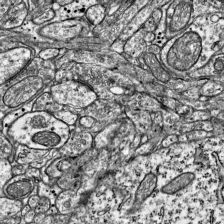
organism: Mouse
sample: Visual Cortex